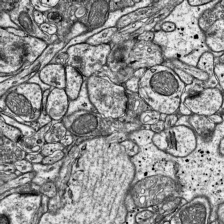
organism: Mouse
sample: Visual Cortex